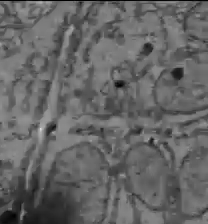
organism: C57BL Mouse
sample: Liver